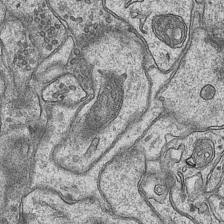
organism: Mouse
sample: CA1 Hippocampus